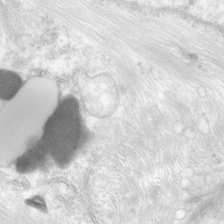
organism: Human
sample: Neocortex